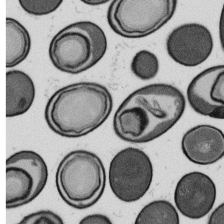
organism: B. subtilis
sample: Bacterial spore